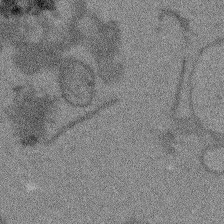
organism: Arabidopsis thaliana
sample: Root tip